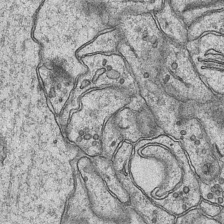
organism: Mouse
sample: CA1 Hippocampus